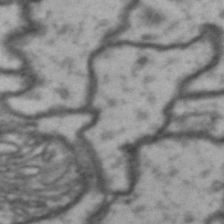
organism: Drosophila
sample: Brain